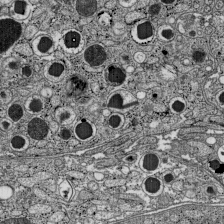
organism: C57BL Mouse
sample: Pancreatic islet